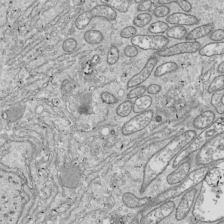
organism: Drosophila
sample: Cell division; meiosis; drosophila spermatocytes